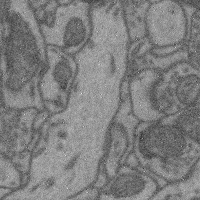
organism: Mouse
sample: Cerebral cortex